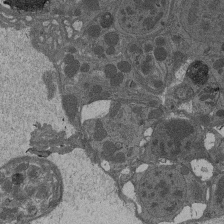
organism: Drosophila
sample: Antenna